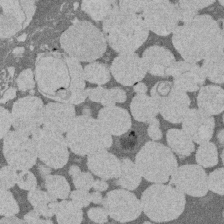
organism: Rat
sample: Salivary granule